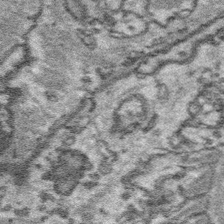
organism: Platynereis dumerilii